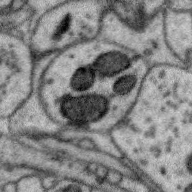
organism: Zebra finch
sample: Brain